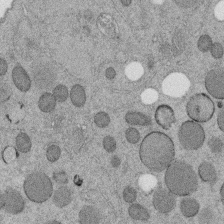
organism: C. elegans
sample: C. elegans embryo early stage